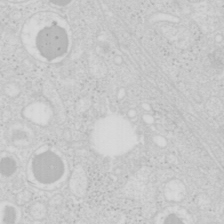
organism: Mouse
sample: Pancreas